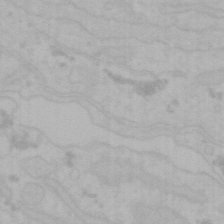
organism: Mouse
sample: Choroid plexus